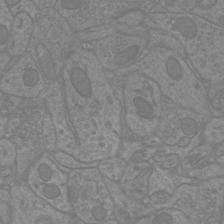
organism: Mouse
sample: Cortical neurons